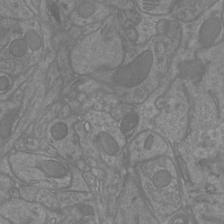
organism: Mouse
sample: Cortical neurons